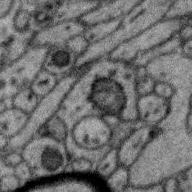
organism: Zebra finch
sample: Brain